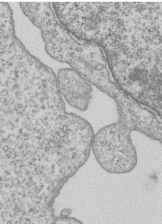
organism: Human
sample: MDA-MB-231 cells